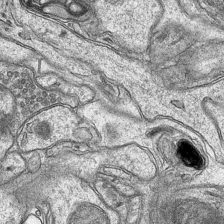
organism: Mouse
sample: CA1 Hippocampus